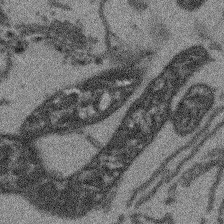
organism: Arabidopsis thaliana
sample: Root tip